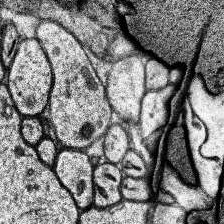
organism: Human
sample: Temporal Lobe